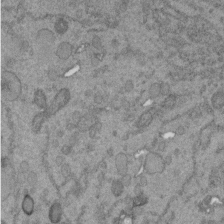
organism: C. elegans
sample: C. elegans embryo early stage